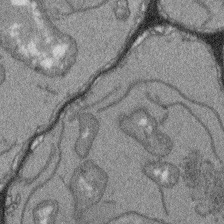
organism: Arabidopsis thaliana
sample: Root tip